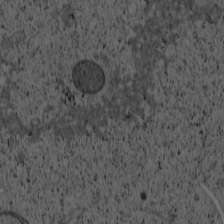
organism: African green monkey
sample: COS-7 cells